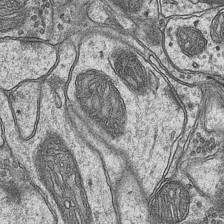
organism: Mouse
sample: CA1 Hippocampus